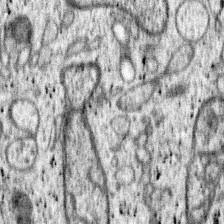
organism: Human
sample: HeLa cells